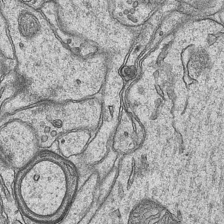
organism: Mouse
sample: CA1 Hippocampus